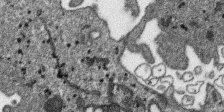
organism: Human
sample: Lung epithelial cells infected with SARS-CoV-2